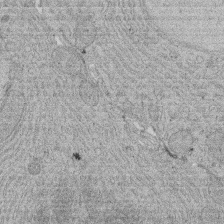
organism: Rat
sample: Salivary granule